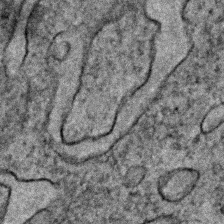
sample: Trachea